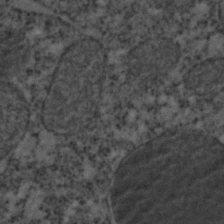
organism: C. elegans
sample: C. elegans embryo